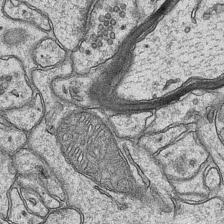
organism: Mouse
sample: CA1 Hippocampus